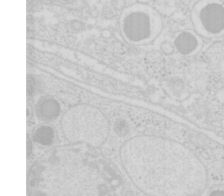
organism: Mouse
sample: Pancreas